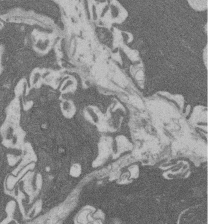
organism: Rat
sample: Salivary granule